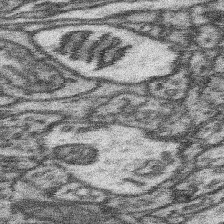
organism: Mouse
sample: Somatosensory cortex neuropil